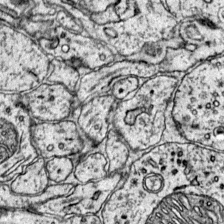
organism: Mouse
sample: Primary visual cortex